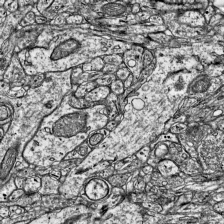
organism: Mouse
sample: Visual Cortex